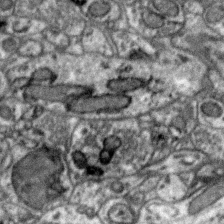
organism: Zebra finch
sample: Brain